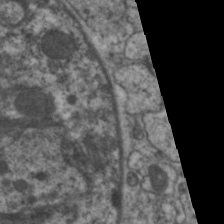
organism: C. elegans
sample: Pharynx